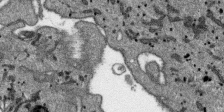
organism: Human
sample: Lung epithelial cells, uninfected (mock) control